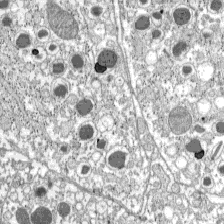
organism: C57BL Mouse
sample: Pancreatic islet